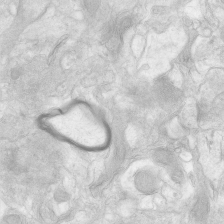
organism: Human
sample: Neocortex